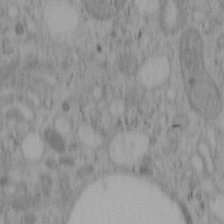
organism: Mouse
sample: OT-I killer T cells with ID8 ovarian cancer cells